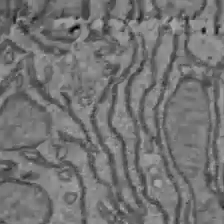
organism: C57BL Mouse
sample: Liver